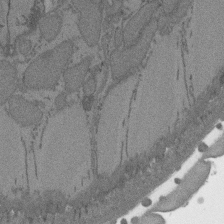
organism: C. elegans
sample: AFD neurons C. elegans